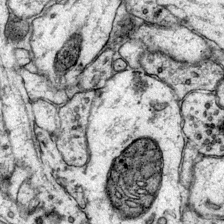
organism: Mouse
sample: Primary visual cortex